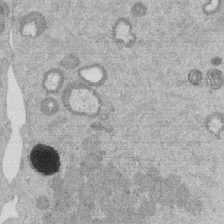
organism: Mouse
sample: Dividing mouse embryo 1 cell stage